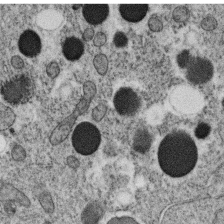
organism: C. elegans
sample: C. elegans oocyte; sperm cells